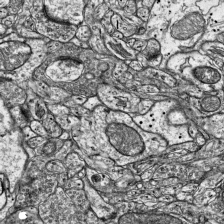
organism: Mouse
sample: Visual Cortex